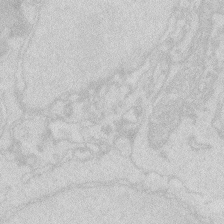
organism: Zebrafish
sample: Macrophage